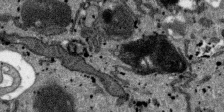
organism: Human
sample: Lung epithelial cells, uninfected (mock) control